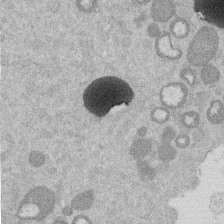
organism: Mouse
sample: Dividing mouse embryo 1 cell stage